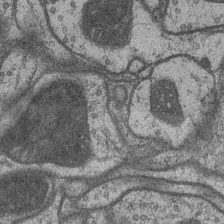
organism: Drosophila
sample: Optic medulla